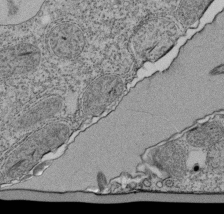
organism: Tetrahymena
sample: Cilia in tetrahymena